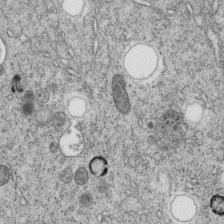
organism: C. elegans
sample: C. elegans embryo early stage